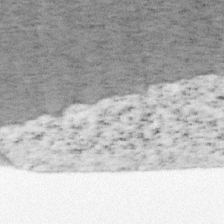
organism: Mouse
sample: OT-I killer T cells with ID8 ovarian cancer cells